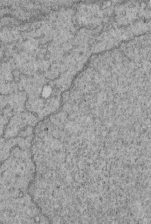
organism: Human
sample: Retinal organoid Rod and Cone cells